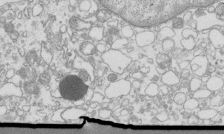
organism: Mouse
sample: Macrophages